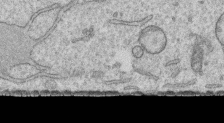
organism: Human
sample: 1205lu cells